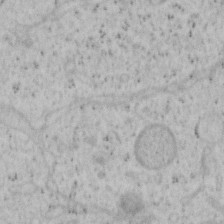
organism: Human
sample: HeLa cells